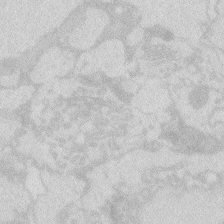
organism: Zebrafish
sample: Macrophage